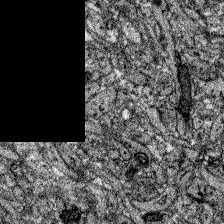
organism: Zebrafish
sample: Larval olfactory bulb